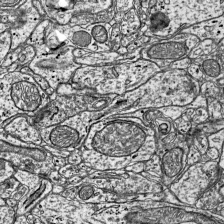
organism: Mouse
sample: Visual Cortex